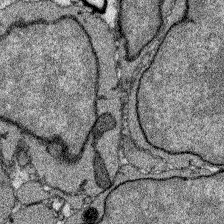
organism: Zebrafish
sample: Larval olfactory bulb